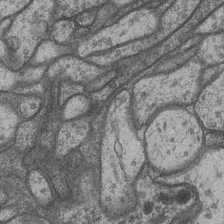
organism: Drosophila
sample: Optic medulla